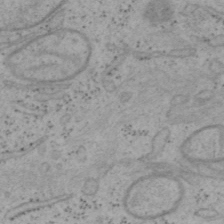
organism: Human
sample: HeLa cells